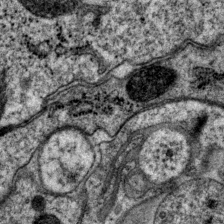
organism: P. pacificus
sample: Pharynx